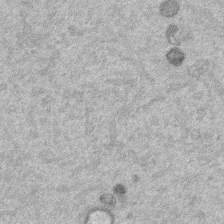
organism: Mouse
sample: Dividing mouse embryo 1 cell stage